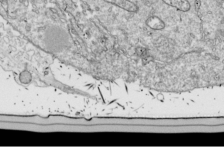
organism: Drosophila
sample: Cell division; meiosis; drosophila spermatocytes